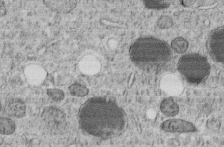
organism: C. elegans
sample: C. elegans embryo early stage